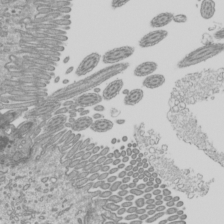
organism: Mouse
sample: Cilia; mouse epididymis